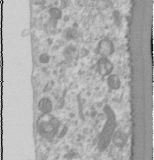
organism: Human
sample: Cilia; basal body in RPE cells